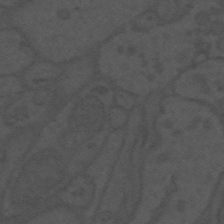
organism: Mouse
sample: Suprachiasmatic nucleus